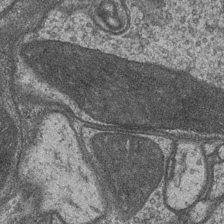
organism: Drosophila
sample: Optic medulla